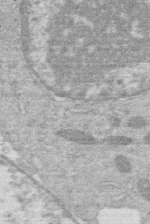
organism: Human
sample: Macrophage cells